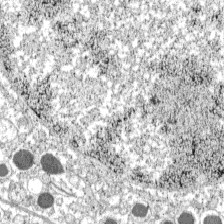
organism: C57BL Mouse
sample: Pancreatic islet